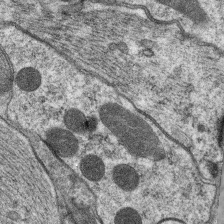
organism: C. elegans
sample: Pharynx